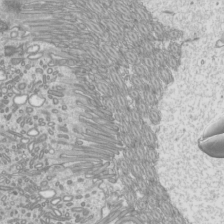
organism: Mouse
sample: Cilia; mouse epididymis